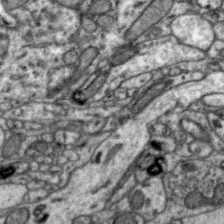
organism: Zebra finch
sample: Brain